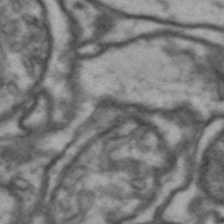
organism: Drosophila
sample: Brain